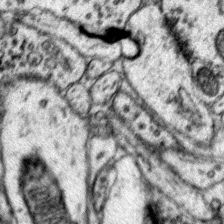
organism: Mouse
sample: Primary visual cortex